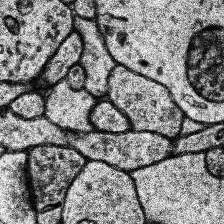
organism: Human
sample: Temporal Lobe